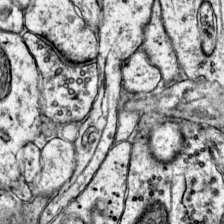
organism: Mouse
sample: Primary visual cortex